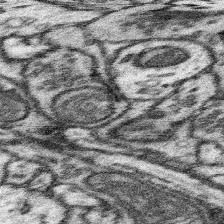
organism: Mouse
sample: Somatosensory cortex neuropil